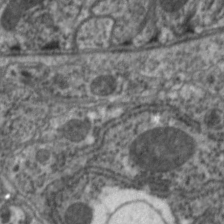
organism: C. elegans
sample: Pharynx